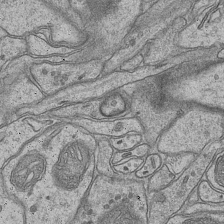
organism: Mouse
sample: CA1 Hippocampus